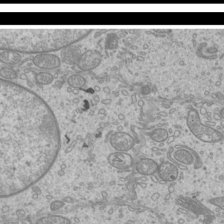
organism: Mouse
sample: Cilia; mouse epididymis